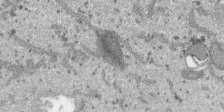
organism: Human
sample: Lung epithelial cells infected with SARS-CoV-2